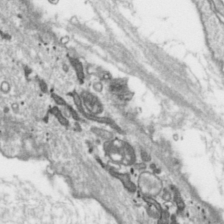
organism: Toxoplasma gondii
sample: Parasites in a vacuole inside a host cell